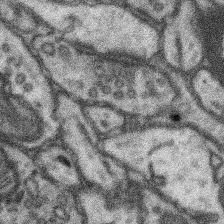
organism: Mouse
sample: Somatosensory cortex neuropil